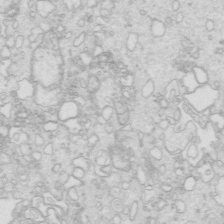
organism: Mouse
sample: Multiciliated cells